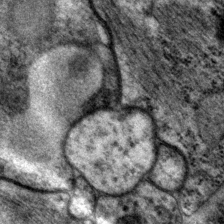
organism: P. pacificus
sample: Pharynx